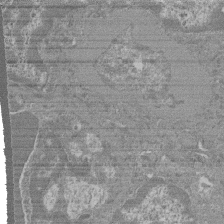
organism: Mouse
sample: Glomerulus